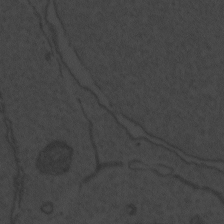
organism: Zebrafish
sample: Macrophage infected with Toxoplasma gondii